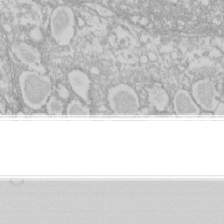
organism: Xenopus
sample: Cilia; centrioles in frog embryo cells